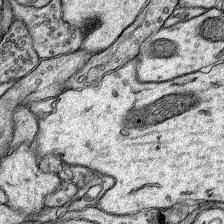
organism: Rat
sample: Hippocampus